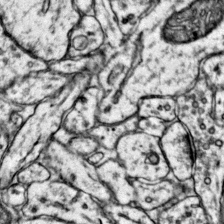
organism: Mouse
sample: Primary visual cortex